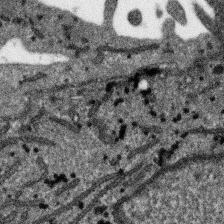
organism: Human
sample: Lung epithelial cells infected with SARS-CoV-2